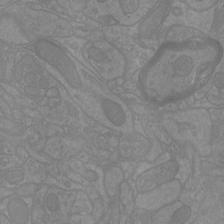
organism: Mouse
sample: Cortical neurons